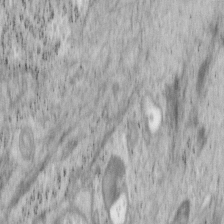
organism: Human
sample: HeLa cells